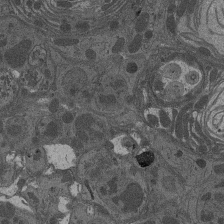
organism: Drosophila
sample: Antenna